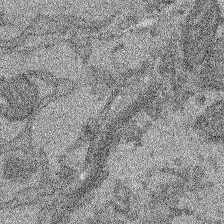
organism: Human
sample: HeLa cells